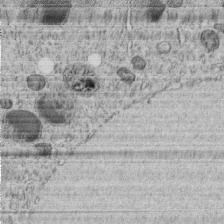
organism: C. elegans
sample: C. elegans embryo early stage